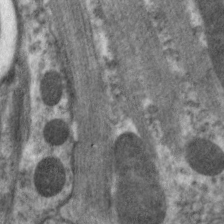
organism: C. elegans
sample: Pharynx